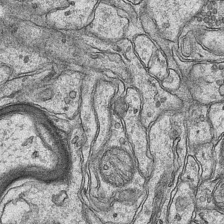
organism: Mouse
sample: CA1 Hippocampus